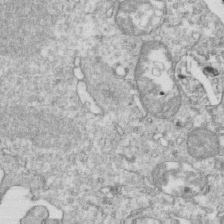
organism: Mouse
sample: Activated OT-1 CD8+ T cells